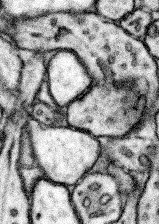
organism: Mouse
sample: Somatosensory cortex neuropil